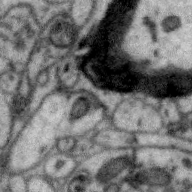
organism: Zebra finch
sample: Brain